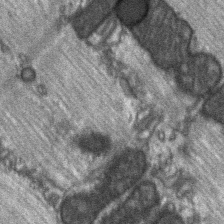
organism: C57BL Mouse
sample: Soleus